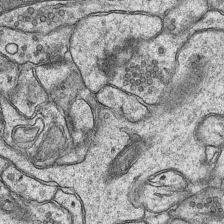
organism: Mouse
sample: CA1 Hippocampus